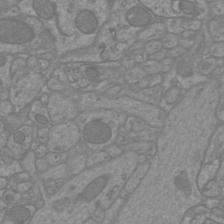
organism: Mouse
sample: Cortical neurons